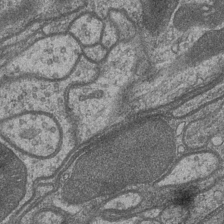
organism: Drosophila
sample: Optic medulla